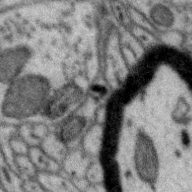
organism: Zebra finch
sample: Brain